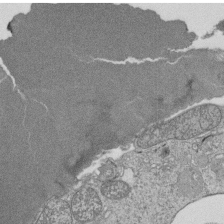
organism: Tetrahymena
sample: Cilia in tetrahymena